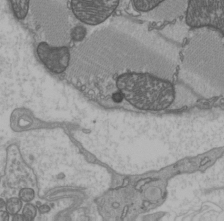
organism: C57BL Mouse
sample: Heart